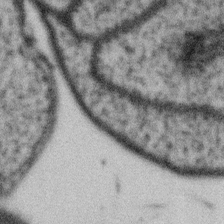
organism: Gemmata obscuriglobus